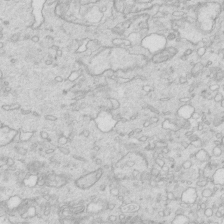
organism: Mouse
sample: Multiciliated cells